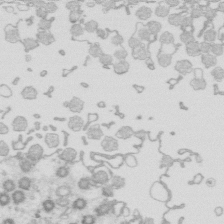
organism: Mouse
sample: Multiciliated cells